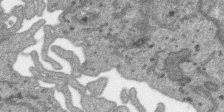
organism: Human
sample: Lung epithelial cells infected with SARS-CoV-2